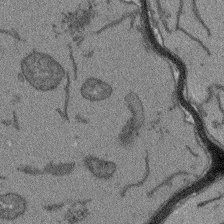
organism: Arabidopsis thaliana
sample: Root tip